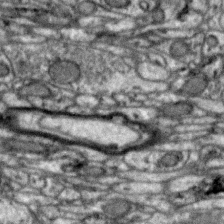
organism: Zebra finch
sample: Brain